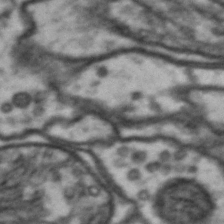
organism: Drosophila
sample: Brain